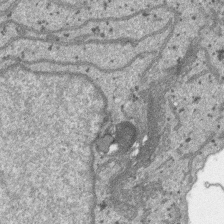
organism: Human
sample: Lung epithelial cells infected with SARS-CoV-2